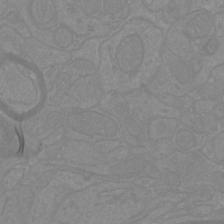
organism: Mouse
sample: Cortical neurons